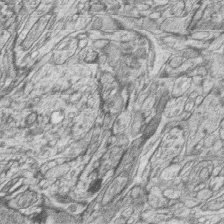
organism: Zebrafish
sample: synaptic ribbons in rod cells and cone cells